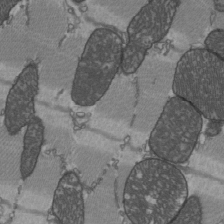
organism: C57BL Mouse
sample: Heart